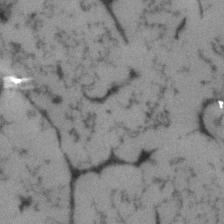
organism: Human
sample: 1205lu cells